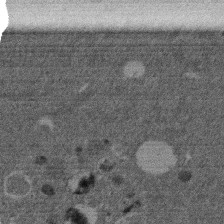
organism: Mouse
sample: Dividing mouse embryo 1 cell stage